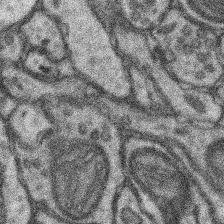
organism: Mouse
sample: Somatosensory cortex neuropil